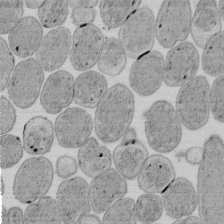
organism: E. coli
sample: Bacterial nucleoid